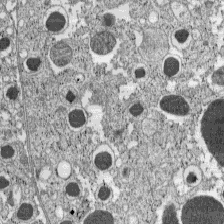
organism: C57BL Mouse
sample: Pancreatic islet